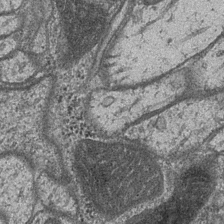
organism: Drosophila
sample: Optic medulla